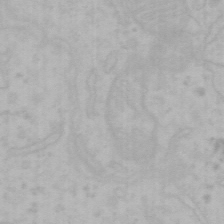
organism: Mouse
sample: Choroid plexus